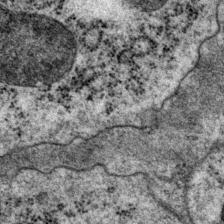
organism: P. pacificus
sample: Pharynx